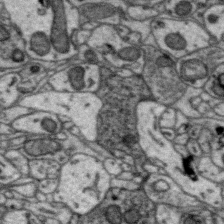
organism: Zebra finch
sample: Brain